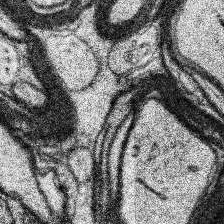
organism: Human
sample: Temporal Lobe